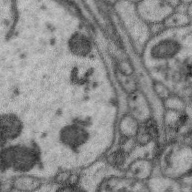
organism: Zebra finch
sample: Brain